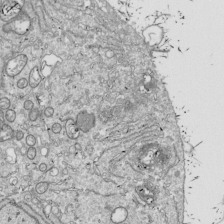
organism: Drosophila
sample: Cell division; meiosis; drosophila spermatocytes